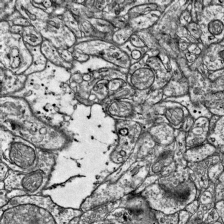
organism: Mouse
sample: Visual Cortex